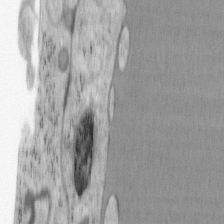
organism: Human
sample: HeLa cells